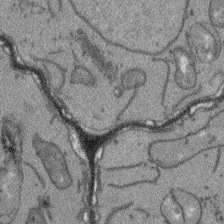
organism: Arabidopsis thaliana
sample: Root tip